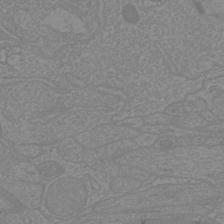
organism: Mouse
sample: Cortical neurons